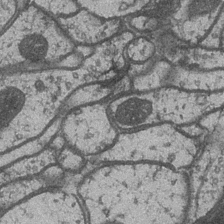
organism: Drosophila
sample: Optic medulla